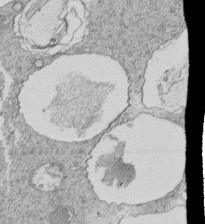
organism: Tetrahymena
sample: Cilia in tetrahymena